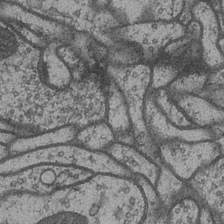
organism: Drosophila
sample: Optic medulla